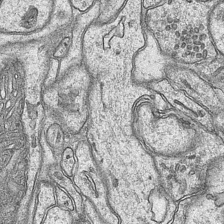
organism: Mouse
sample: CA1 Hippocampus